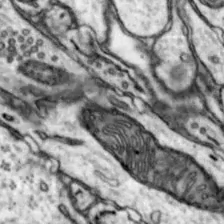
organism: Mouse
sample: Nucleus accumbens